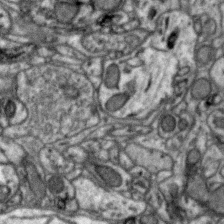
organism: Zebra finch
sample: Brain